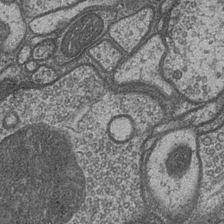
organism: Drosophila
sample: Optic medulla